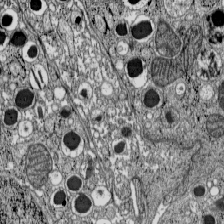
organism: C57BL Mouse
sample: Pancreatic islet